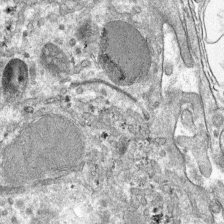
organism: Mouse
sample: Mouse hepatocytes